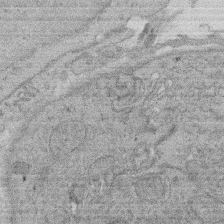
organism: Rat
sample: Salivary granule